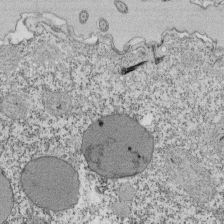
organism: Tetrahymena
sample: Cilia in tetrahymena